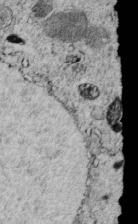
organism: C. elegans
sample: C. elegans embryo early stage